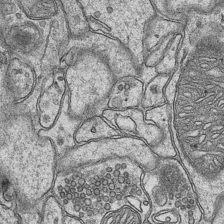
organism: Mouse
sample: CA1 Hippocampus